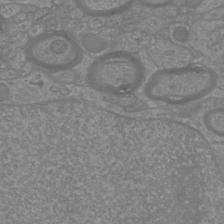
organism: Mouse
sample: Cortical neurons